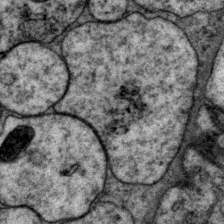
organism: P. pacificus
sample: Pharynx